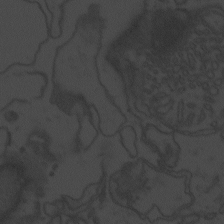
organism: Zebrafish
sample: Macrophage infected with Toxoplasma gondii